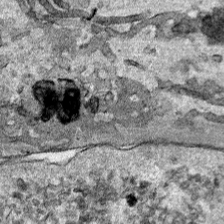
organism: Human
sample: Mitochondria in HCT116 cells